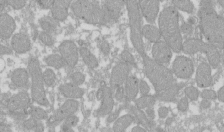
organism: Xenopus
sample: Cilia; centrioles in frog embryo cells